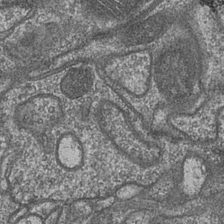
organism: Drosophila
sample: Optic medulla